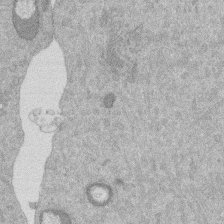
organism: Mouse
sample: Dividing mouse embryo 1 cell stage